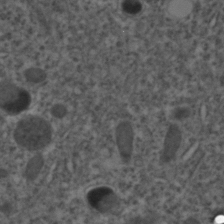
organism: C. elegans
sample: C. elegans embryo